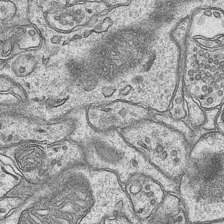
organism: Mouse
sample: CA1 Hippocampus